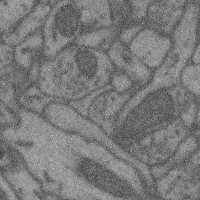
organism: Mouse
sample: Cerebral cortex